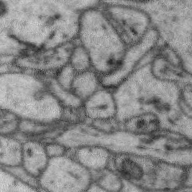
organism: Zebra finch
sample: Brain